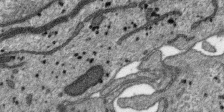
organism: Human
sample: Lung epithelial cells, uninfected (mock) control